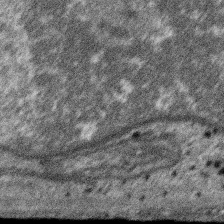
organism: Human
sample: Lung epithelial cells infected with SARS-CoV-2